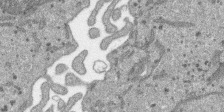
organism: Human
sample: Lung epithelial cells infected with SARS-CoV-2